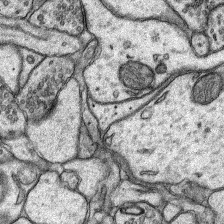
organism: Rat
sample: Hippocampus